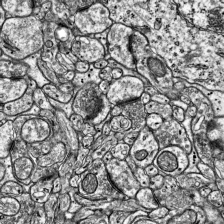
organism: Mouse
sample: Visual Cortex